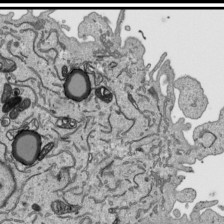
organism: Human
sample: Mitochondria in HCT116 cells